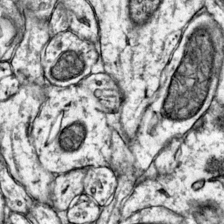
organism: Mouse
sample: Primary visual cortex